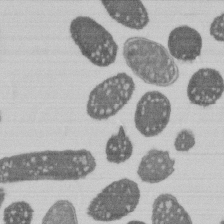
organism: E. coli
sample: Bacterial nucleoid